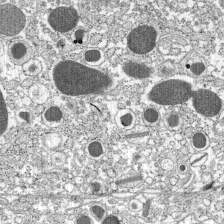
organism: C57BL Mouse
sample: Pancreatic islet